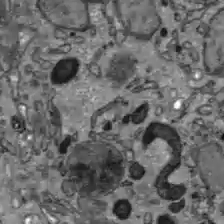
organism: C57BL Mouse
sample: Liver